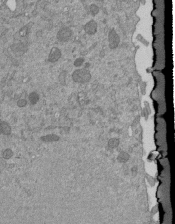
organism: Mouse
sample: ED-1 cell nuclei; centrioles